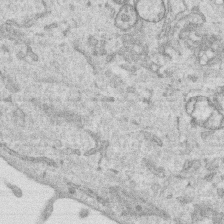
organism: Human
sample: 1205lu cells